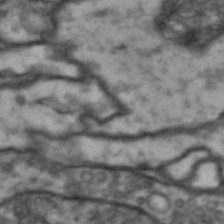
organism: Drosophila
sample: Brain